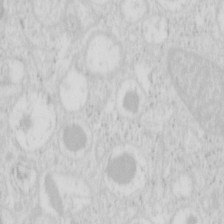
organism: Mouse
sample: Pancreas